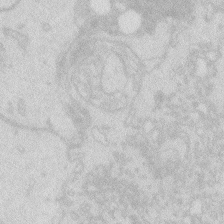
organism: Zebrafish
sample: Macrophage